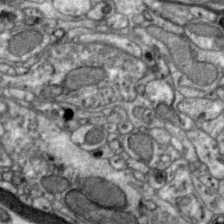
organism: Zebra finch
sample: Brain